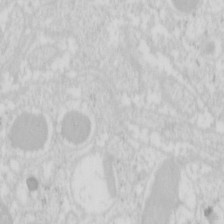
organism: Mouse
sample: Pancreas